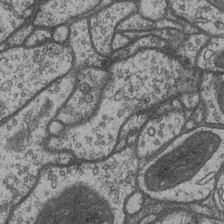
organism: Drosophila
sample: Optic medulla